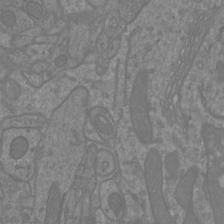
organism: Mouse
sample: Cortical neurons